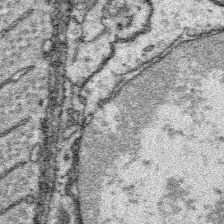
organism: Platynereis dumerilii